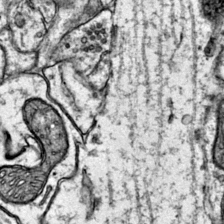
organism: Mouse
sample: Primary visual cortex